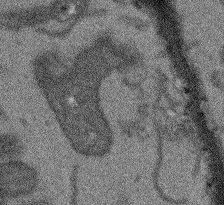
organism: Arabidopsis thaliana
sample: Root tip